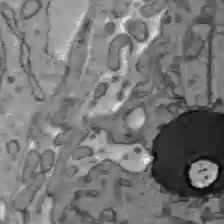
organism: C57BL Mouse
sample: Liver